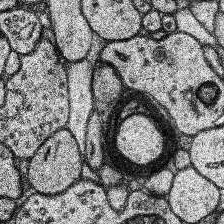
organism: Human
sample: Temporal Lobe